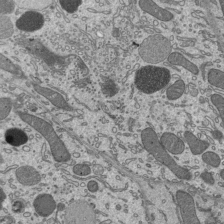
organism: Mouse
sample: Mouse epididymis efferent ductule cilia